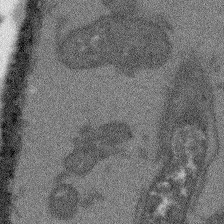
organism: Arabidopsis thaliana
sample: Root tip